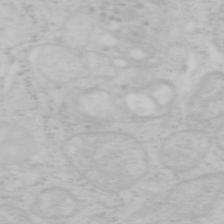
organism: Mouse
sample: OT-I killer T cells with ID8 ovarian cancer cells